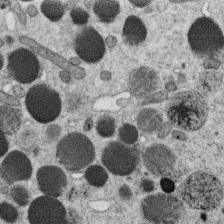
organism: C. elegans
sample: C. elegans oocyte; sperm cells